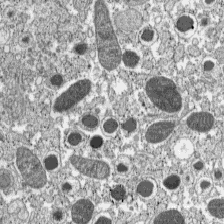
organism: C57BL Mouse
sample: Pancreatic islet